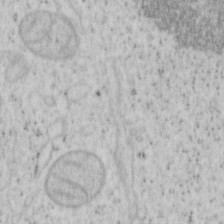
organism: Human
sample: HeLa cells